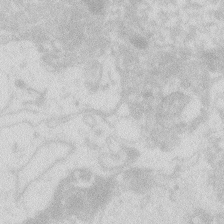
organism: Zebrafish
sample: Macrophage